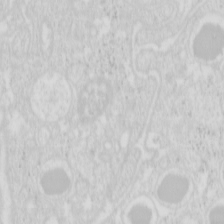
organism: Mouse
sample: Pancreas